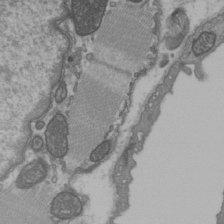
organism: C57BL Mouse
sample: Heart